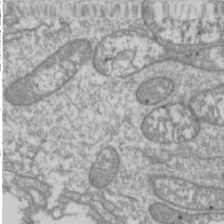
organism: Drosophila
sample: Cell division; meiosis; drosophila spermatocytes